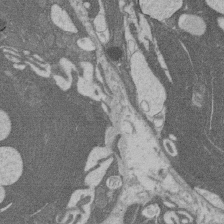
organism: Rat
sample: Salivary granule